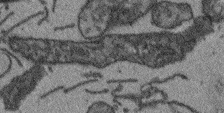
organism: Arabidopsis thaliana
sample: Root tip